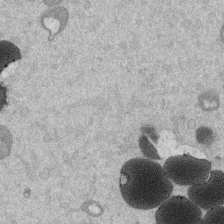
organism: Mouse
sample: Dividing mouse embryo 1 cell stage